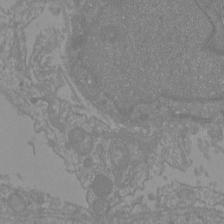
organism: Mouse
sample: Cortical neurons